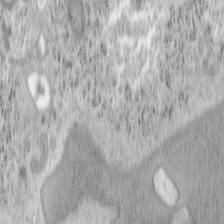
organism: Human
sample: HeLa cells